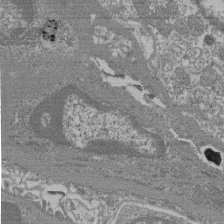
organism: Mouse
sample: Glomerulus